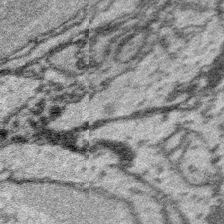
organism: Platynereis dumerilii